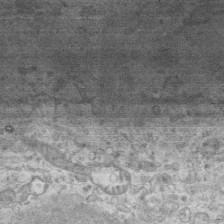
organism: Mouse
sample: Centriole in ependymal cells